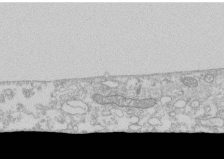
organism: Human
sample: CRL-1474